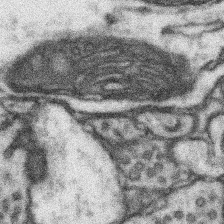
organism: Mouse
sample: Somatosensory cortex neuropil